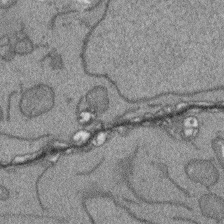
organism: Arabidopsis thaliana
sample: Root tip